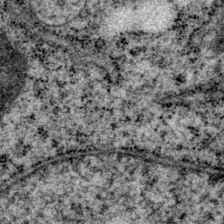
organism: P. pacificus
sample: Pharynx